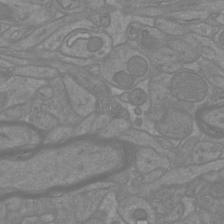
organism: Mouse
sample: Cortical neurons